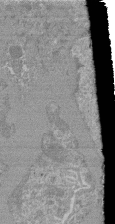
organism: Mouse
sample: Glomerulus